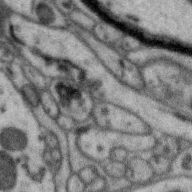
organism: Zebra finch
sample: Brain